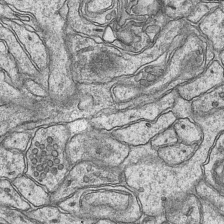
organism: Mouse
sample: CA1 Hippocampus